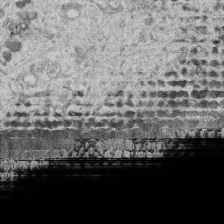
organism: Human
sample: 1205lu cells